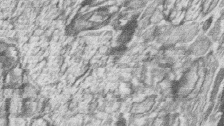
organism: Zebrafish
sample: synaptic ribbons in rod cells and cone cells